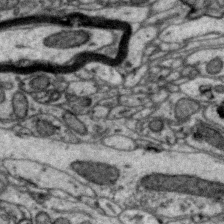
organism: Zebra finch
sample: Brain